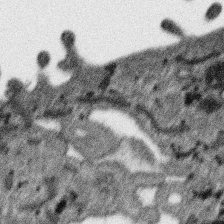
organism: Human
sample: Lung epithelial cells infected with SARS-CoV-2